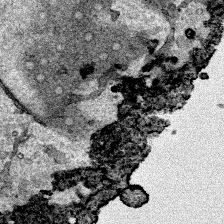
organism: Human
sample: Mitochondria in HCT116 cells